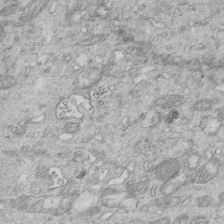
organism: Mouse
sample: Multiciliated cells